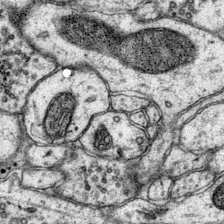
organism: Mouse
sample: Primary visual cortex